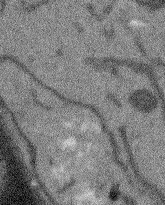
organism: Arabidopsis thaliana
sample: Root tip